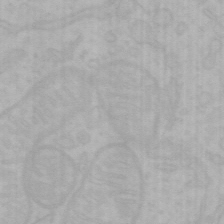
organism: Mouse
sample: Choroid plexus